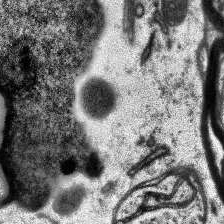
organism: Human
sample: Temporal Lobe